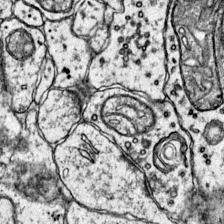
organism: Mouse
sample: Primary visual cortex